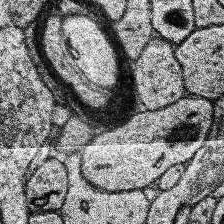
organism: Human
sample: Temporal Lobe